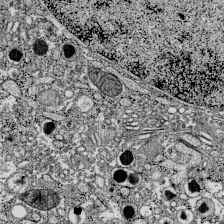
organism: C57BL Mouse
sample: Pancreatic islet